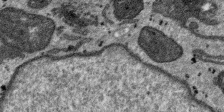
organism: Human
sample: Lung epithelial cells, uninfected (mock) control